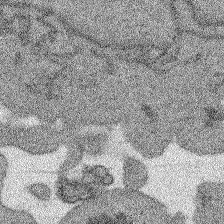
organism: Human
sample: HeLa cells